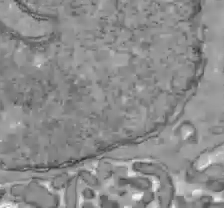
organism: C57BL Mouse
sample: Liver